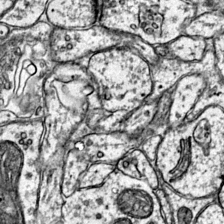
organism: Mouse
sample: Primary visual cortex